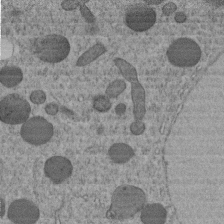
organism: C. elegans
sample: C. elegans embryo early stage